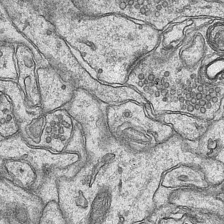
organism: Mouse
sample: CA1 Hippocampus